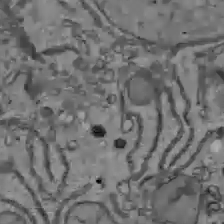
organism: C57BL Mouse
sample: Liver